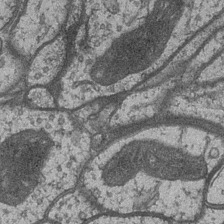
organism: Drosophila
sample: Optic medulla